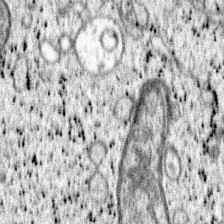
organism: Human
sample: HeLa cells